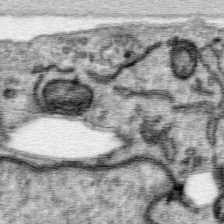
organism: Human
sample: HeLa cells